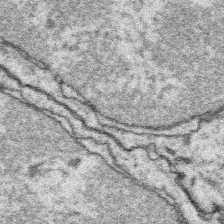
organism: Platynereis dumerilii